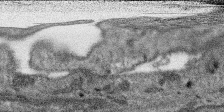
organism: Human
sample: Lung epithelial cells infected with SARS-CoV-2